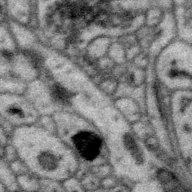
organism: Zebra finch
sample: Brain